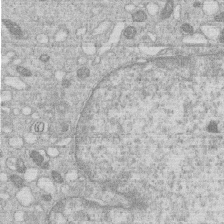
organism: Human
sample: Macrophage cells